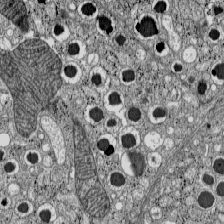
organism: C57BL Mouse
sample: Pancreatic islet